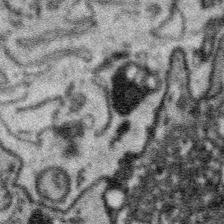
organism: Platynereis dumerilii